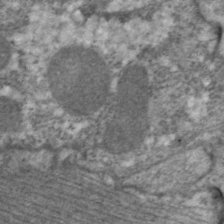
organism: C. elegans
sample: Pharynx